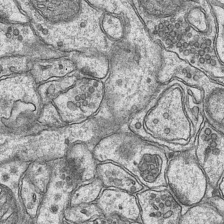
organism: Mouse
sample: CA1 Hippocampus